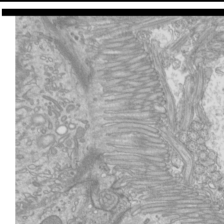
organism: Mouse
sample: Cilia; mouse epididymis